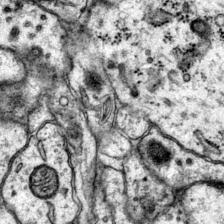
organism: Mouse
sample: Primary visual cortex